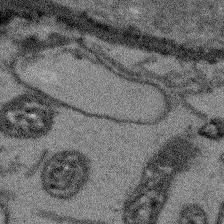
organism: Arabidopsis thaliana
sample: Root tip